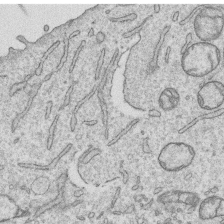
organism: Human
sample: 1205lu cells